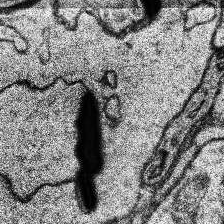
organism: Human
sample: Temporal Lobe